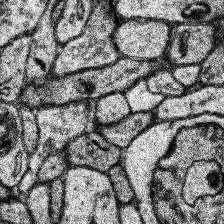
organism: Human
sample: Temporal Lobe